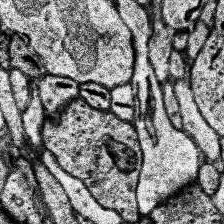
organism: Human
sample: Temporal Lobe